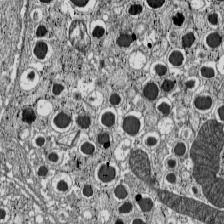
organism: C57BL Mouse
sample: Pancreatic islet